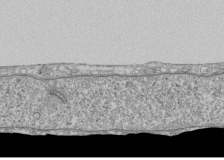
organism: Human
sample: Fibroblast cells